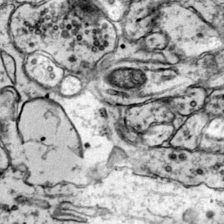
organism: Mouse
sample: Primary visual cortex